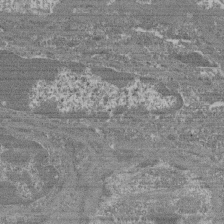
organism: Mouse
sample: Glomerulus